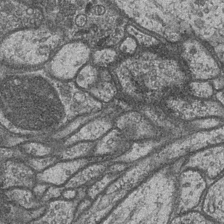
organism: Drosophila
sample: Optic medulla